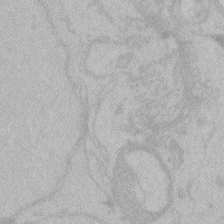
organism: Zebrafish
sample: Macrophage infected with Toxoplasma gondii